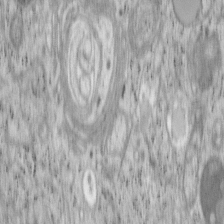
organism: Human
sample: HeLa cells